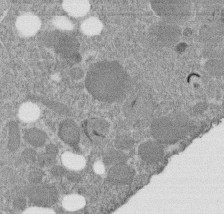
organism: C. elegans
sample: C. elegans embryo early stage